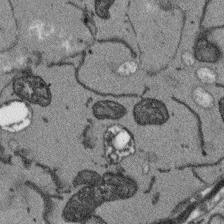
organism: Arabidopsis thaliana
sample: Root tip